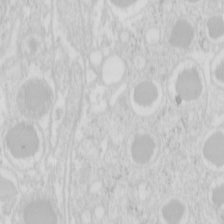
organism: Mouse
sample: Pancreas